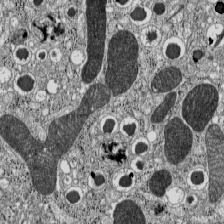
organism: C57BL Mouse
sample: Pancreatic islet